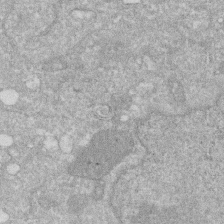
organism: Human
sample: HIV infected U937 cells